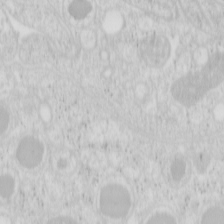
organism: Mouse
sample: Pancreas